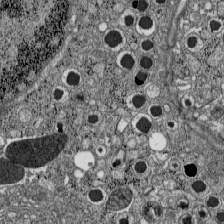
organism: C57BL Mouse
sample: Pancreatic islet